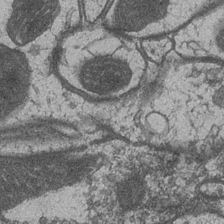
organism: Drosophila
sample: Optic medulla